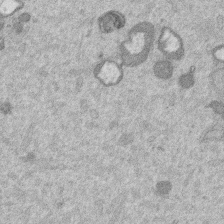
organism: Mouse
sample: Dividing mouse embryo 1 cell stage